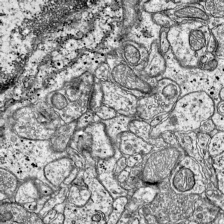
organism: Mouse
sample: Visual Cortex